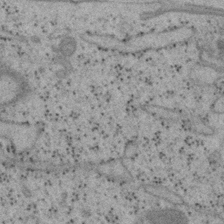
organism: Human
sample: HeLa cells